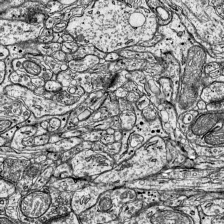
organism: Mouse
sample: Visual Cortex